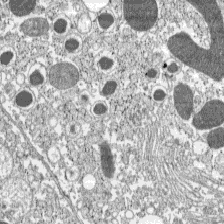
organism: C57BL Mouse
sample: Pancreatic islet